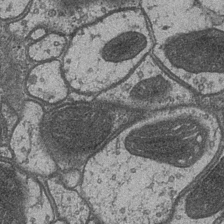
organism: Drosophila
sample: Optic medulla